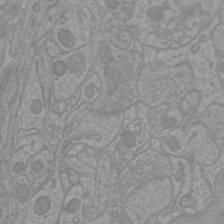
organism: Mouse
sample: Cortical neurons